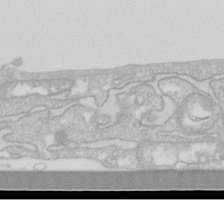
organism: Human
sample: Fibroblast cells